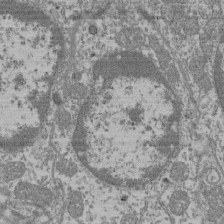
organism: Mouse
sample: Glomerulus